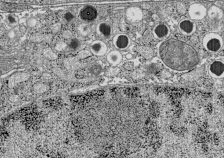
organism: C57BL Mouse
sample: Pancreatic islet